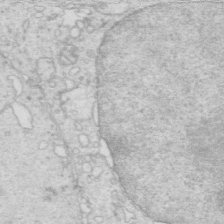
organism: Mouse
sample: Multiciliated cells